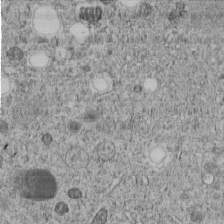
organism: C. elegans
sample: C. elegans embryo early stage